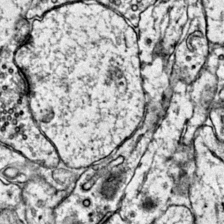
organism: Mouse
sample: Primary visual cortex